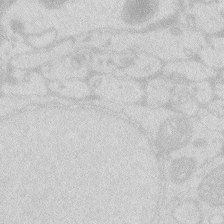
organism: Zebrafish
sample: Macrophage